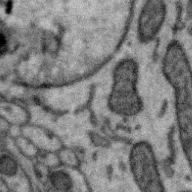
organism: Zebra finch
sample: Brain